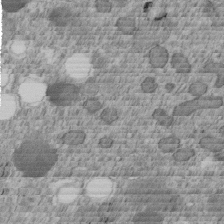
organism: C. elegans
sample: C. elegans embryo early stage